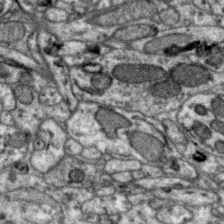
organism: Zebra finch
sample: Brain